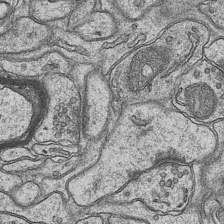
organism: Mouse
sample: CA1 Hippocampus